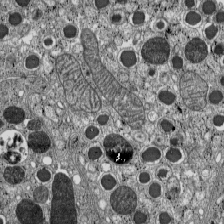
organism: C57BL Mouse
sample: Pancreatic islet